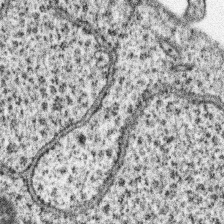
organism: Human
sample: HeLa cells